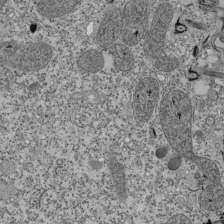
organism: Tetrahymena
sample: Cilia in tetrahymena